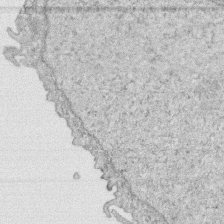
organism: Human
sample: HeLa cell HIV synapse